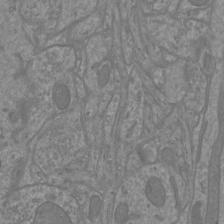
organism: Mouse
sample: Cortical neurons